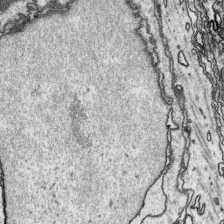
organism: Platynereis dumerilii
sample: Parapodia